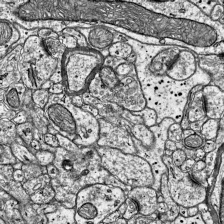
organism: Mouse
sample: Visual Cortex